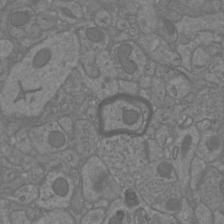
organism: Mouse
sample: Cortical neurons